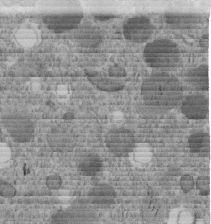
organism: C. elegans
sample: C. elegans embryo early stage